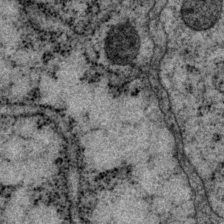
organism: P. pacificus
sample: Pharynx